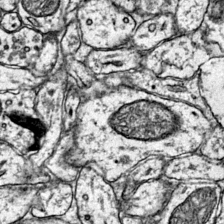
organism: Mouse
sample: Primary visual cortex